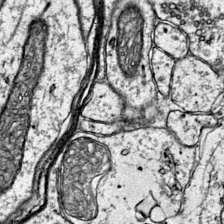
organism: Mouse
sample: Primary visual cortex